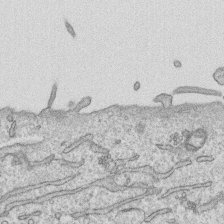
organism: Human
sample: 1205lu cells